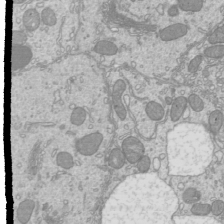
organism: Mouse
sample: Cilia; mouse epididymis